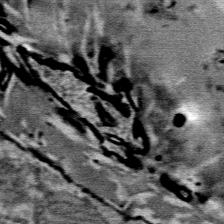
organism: Mouse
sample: Mouse Salivary gland